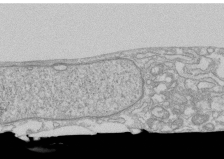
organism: Human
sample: CRL-1474